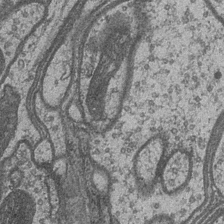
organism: Drosophila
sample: Optic medulla